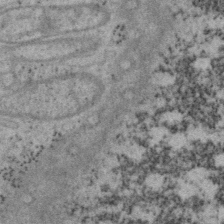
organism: Human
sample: HeLa cells